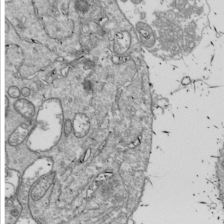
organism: Drosophila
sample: Cell division; meiosis; drosophila spermatocytes